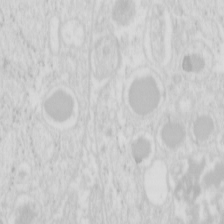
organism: Mouse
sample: Pancreas